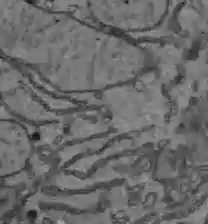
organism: C57BL Mouse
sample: Liver